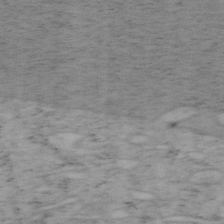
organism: Mouse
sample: OT-I killer T cells with ID8 ovarian cancer cells